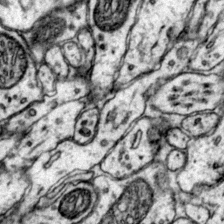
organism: Mouse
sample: Primary visual cortex